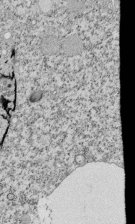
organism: Tetrahymena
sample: Cilia in tetrahymena